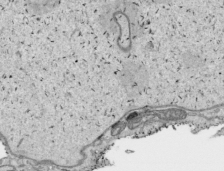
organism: Human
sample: Mitochondria in HCT116 cells